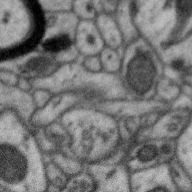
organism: Zebra finch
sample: Brain